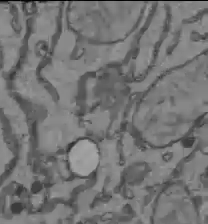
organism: C57BL Mouse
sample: Liver